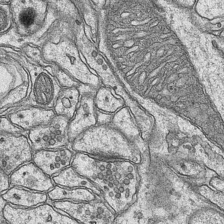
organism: Mouse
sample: CA1 Hippocampus